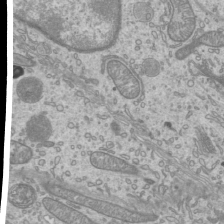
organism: Mouse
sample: Cilia; mouse epididymis